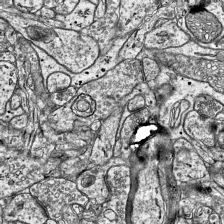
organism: Mouse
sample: Visual Cortex